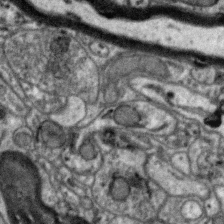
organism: Zebra finch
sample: Brain